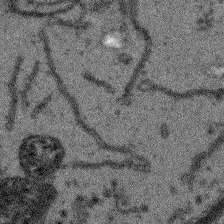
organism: Arabidopsis thaliana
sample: Root tip